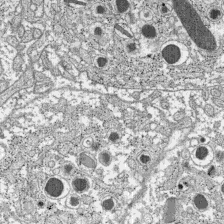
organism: C57BL Mouse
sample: Pancreatic islet